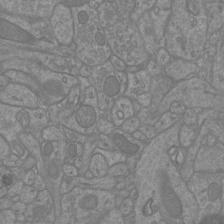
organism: Mouse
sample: Cortical neurons